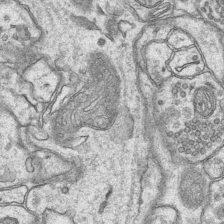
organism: Mouse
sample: CA1 Hippocampus